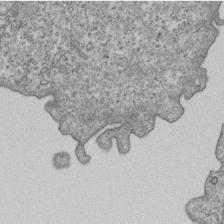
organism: Human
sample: MDA-MB-231 cells